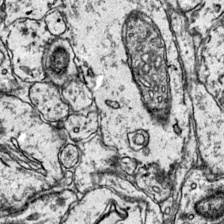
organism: Mouse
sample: Primary visual cortex